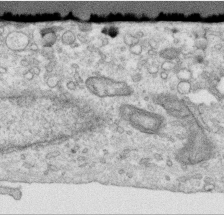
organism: Human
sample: Centriole in RPE cells